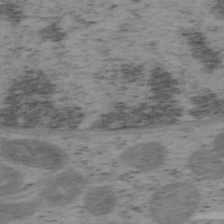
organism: Mouse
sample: OT-I killer T cells with ID8 ovarian cancer cells